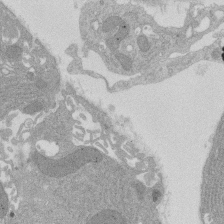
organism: Rat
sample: Salivary granule